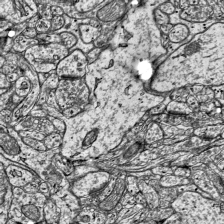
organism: Mouse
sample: Visual Cortex